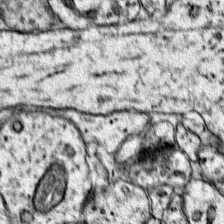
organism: Mouse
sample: Primary visual cortex